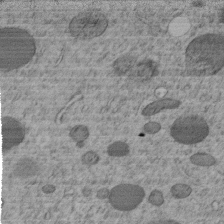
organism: C. elegans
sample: C. elegans embryo early stage